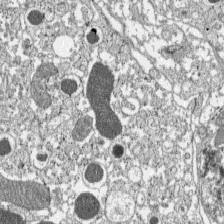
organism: C57BL Mouse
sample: Pancreatic islet